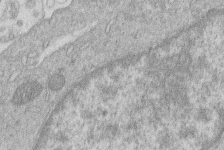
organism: Human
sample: Macrophage cells